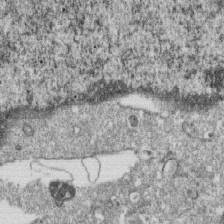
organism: African green monkey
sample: Vero E6 cells infected with SARS-CoV-2